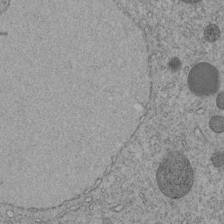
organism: C. elegans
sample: C. elegans embryo early stage